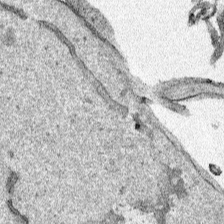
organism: Human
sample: Mitochondria in HCT116 cells